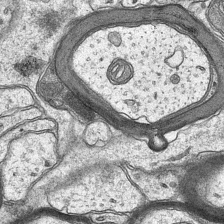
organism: Mouse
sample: CA1 Hippocampus